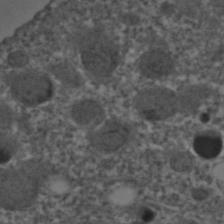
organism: C. elegans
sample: C. elegans embryo